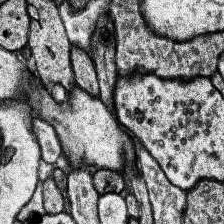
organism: Human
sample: Temporal Lobe